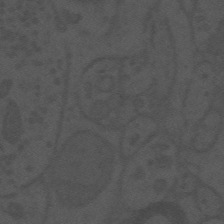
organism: Mouse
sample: Suprachiasmatic nucleus